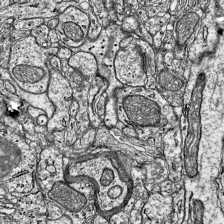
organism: Mouse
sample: Visual Cortex